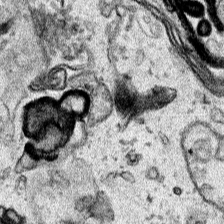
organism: Human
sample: Mitochondria in HCT116 cells